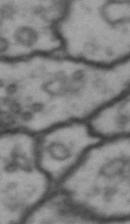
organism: Drosophila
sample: Brain